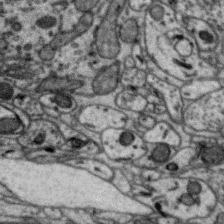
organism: Zebra finch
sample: Brain